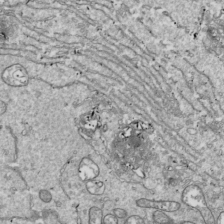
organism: Drosophila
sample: Cell division; meiosis; drosophila spermatocytes